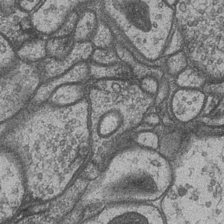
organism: Drosophila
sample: Optic medulla